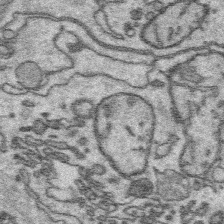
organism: Platynereis dumerilii